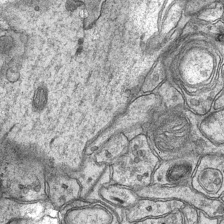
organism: Mouse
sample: CA1 Hippocampus